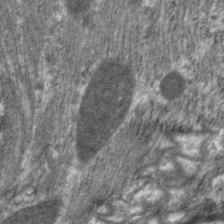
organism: C. elegans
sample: Pharynx